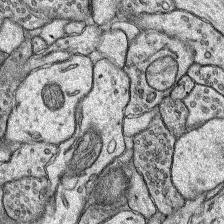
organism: Rat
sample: Hippocampus